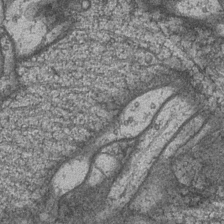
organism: Drosophila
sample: Optic medulla